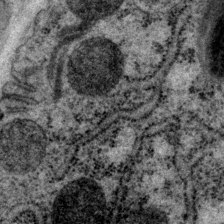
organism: P. pacificus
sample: Pharynx